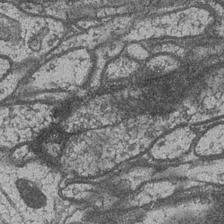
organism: Drosophila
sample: Optic medulla